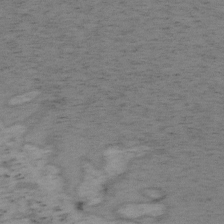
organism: Mouse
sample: OT-I killer T cells with ID8 ovarian cancer cells